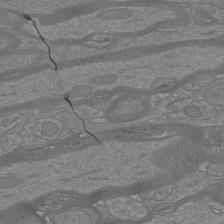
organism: Mouse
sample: Cortical neurons